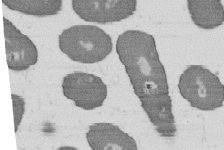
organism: B. subtilis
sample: Bacterial spore